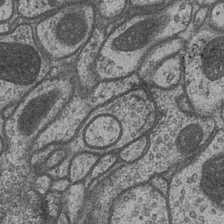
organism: Drosophila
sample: Optic medulla